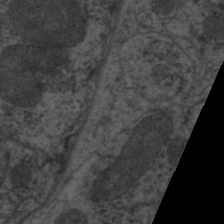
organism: C. elegans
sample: Pharynx